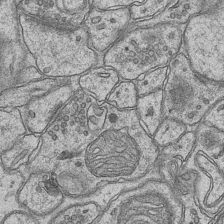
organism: Mouse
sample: CA1 Hippocampus